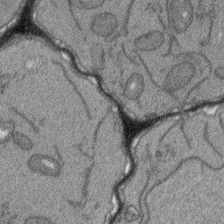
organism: Arabidopsis thaliana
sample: Root tip